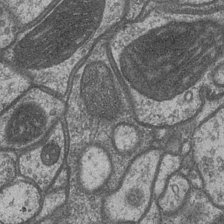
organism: Drosophila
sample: Optic medulla